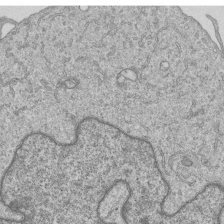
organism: Human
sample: MDA-MB-231 cells